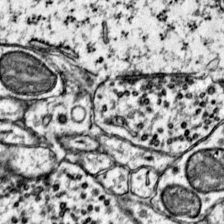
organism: Mouse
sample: Primary visual cortex